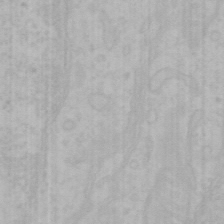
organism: Mouse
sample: Choroid plexus